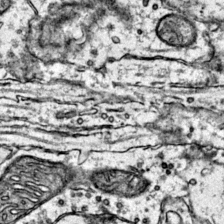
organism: Mouse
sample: Primary visual cortex